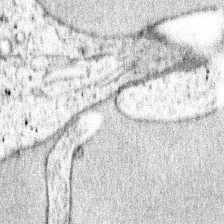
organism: Human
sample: HeLa cells